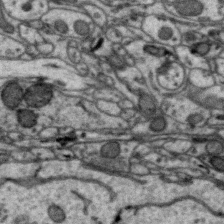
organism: Zebra finch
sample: Brain